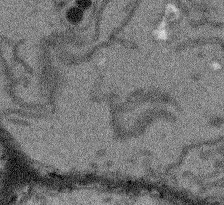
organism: Arabidopsis thaliana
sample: Root tip